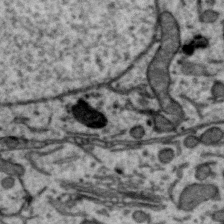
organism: Zebra finch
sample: Brain